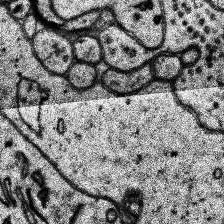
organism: Human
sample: Temporal Lobe